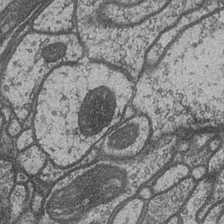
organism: Drosophila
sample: Optic medulla